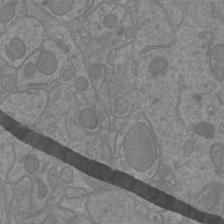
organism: Mouse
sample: Cortical neurons